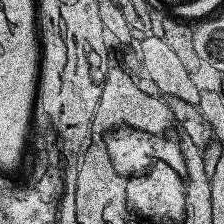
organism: Human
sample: Temporal Lobe